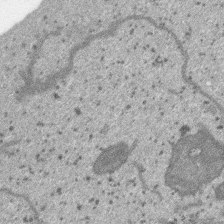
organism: Human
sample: Lung epithelial cells infected with SARS-CoV-2